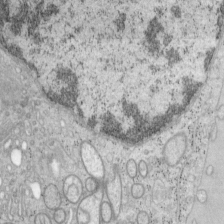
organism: Mouse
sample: OT-I killer T cells with ID8 ovarian cancer cells